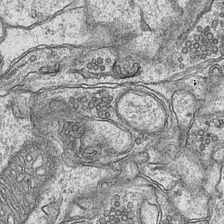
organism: Mouse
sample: CA1 Hippocampus